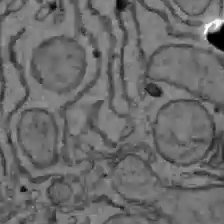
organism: C57BL Mouse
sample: Liver